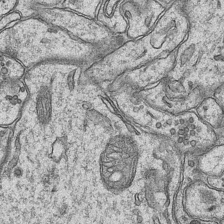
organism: Mouse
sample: CA1 Hippocampus